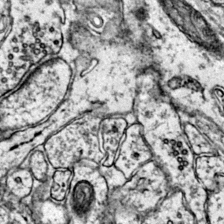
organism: Mouse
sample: Primary visual cortex